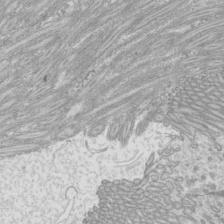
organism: Mouse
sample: Cilia; mouse epididymis